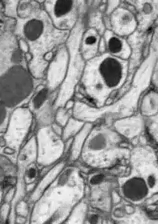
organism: Drosophila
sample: Optic lobe